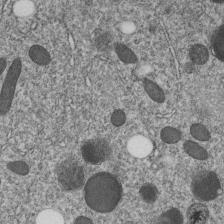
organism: C. elegans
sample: C. elegans embryo early stage